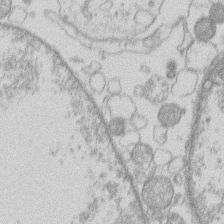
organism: Human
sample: Macrophage cells